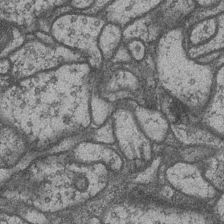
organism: Drosophila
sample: Optic medulla